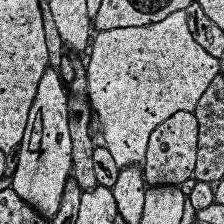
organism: Human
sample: Temporal Lobe